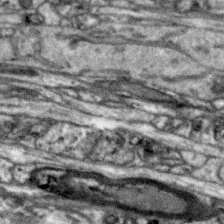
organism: Zebra finch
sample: Brain